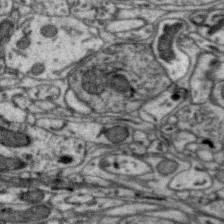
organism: Zebra finch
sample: Brain